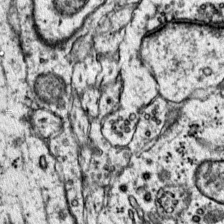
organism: Mouse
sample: Primary visual cortex